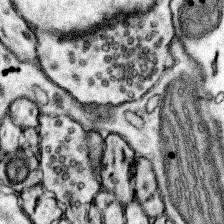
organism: Mouse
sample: Somatosensory cortex neuropil